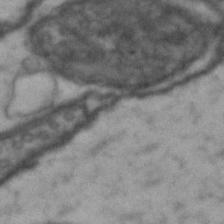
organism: Drosophila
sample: Brain